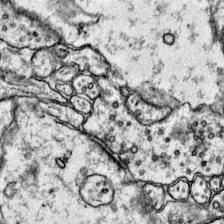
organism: Mouse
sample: Primary visual cortex